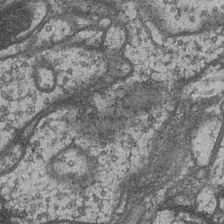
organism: Drosophila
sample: Optic medulla